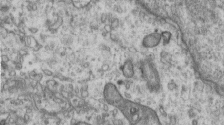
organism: Human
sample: Centriole in RPE cells